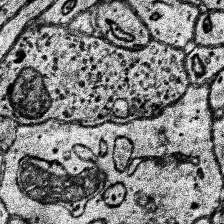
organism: Human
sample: Temporal Lobe